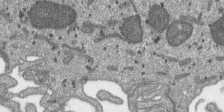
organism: Human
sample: Lung epithelial cells infected with SARS-CoV-2